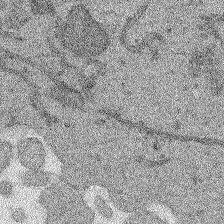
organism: Human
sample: HeLa cells